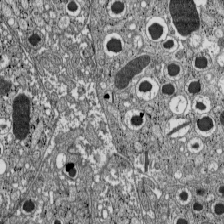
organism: C57BL Mouse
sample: Pancreatic islet